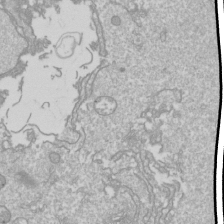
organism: Drosophila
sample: Cell division; meiosis; drosophila spermatocytes